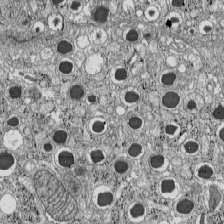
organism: C57BL Mouse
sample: Pancreatic islet